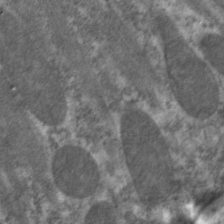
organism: C. elegans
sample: Pharynx